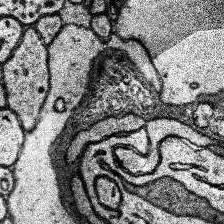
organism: Human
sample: Temporal Lobe